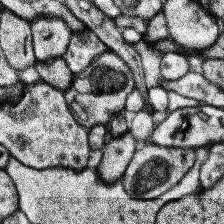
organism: Human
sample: Temporal Lobe